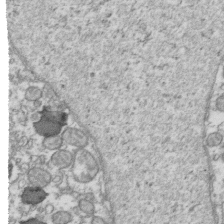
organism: Human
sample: Activated Jurkat CD4+ T cells